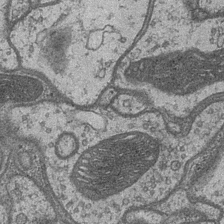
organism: Drosophila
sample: Optic medulla